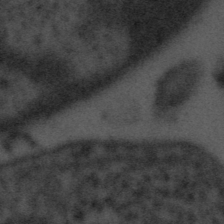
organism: Tuwongella immobilis